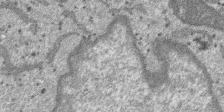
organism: Human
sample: Lung epithelial cells infected with SARS-CoV-2